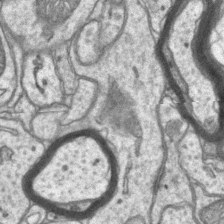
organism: Mouse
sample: CA1 Hippocampus